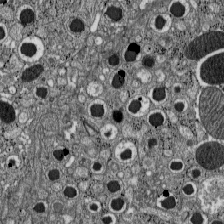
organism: C57BL Mouse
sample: Pancreatic islet